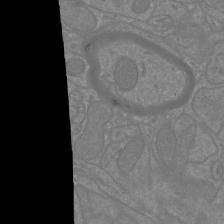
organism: Mouse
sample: Cortical neurons